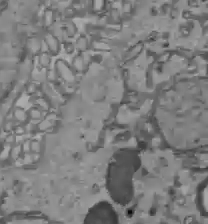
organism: C57BL Mouse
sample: Liver